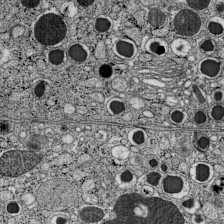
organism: C57BL Mouse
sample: Pancreatic islet